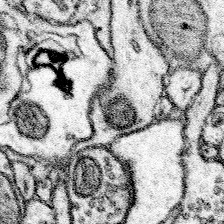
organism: Mouse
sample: Somatosensory cortex neuropil